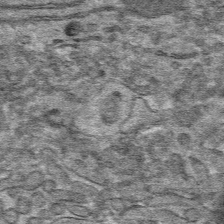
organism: Mouse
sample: Mouse hepatocytes